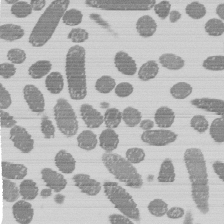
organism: E. coli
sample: Bacterial nucleoid